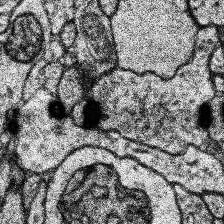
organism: Human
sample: Temporal Lobe